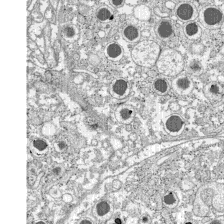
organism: C57BL Mouse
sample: Pancreatic islet